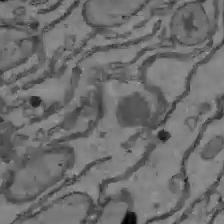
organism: C57BL Mouse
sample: Liver